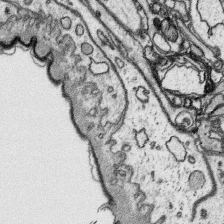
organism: Platynereis dumerilii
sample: Parapodia